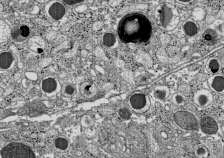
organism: C57BL Mouse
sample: Pancreatic islet